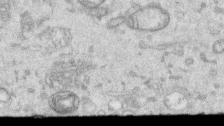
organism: Human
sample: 1205lu cells